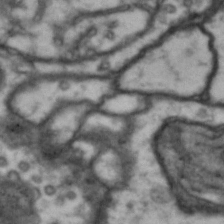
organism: Drosophila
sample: Brain